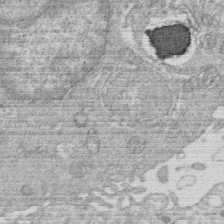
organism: Human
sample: Macrophage cells